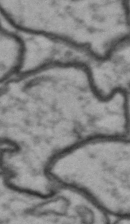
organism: Drosophila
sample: Brain